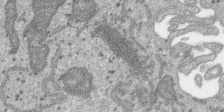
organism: Human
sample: Lung epithelial cells infected with SARS-CoV-2